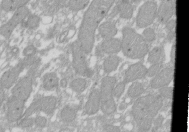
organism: Xenopus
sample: Cilia; centrioles in frog embryo cells